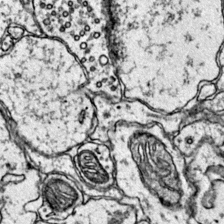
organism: Mouse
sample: Primary visual cortex